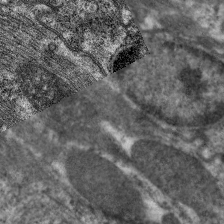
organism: C. elegans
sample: Pharynx